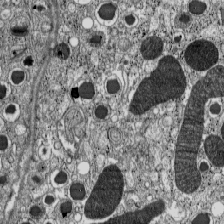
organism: C57BL Mouse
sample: Pancreatic islet